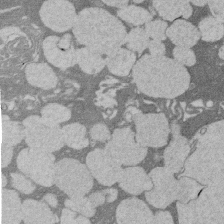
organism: Rat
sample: Salivary granule